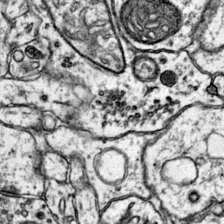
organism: Mouse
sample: Primary visual cortex